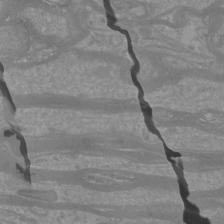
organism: Mouse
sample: Cortical neurons